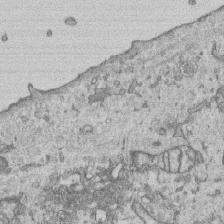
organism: Human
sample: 1205lu cells